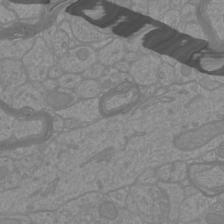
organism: Mouse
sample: Cortical neurons